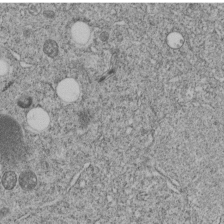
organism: C. elegans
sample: C. elegans embryo early stage